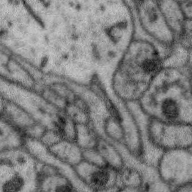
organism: Zebra finch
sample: Brain